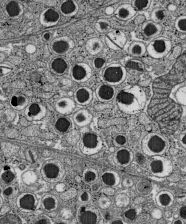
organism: C57BL Mouse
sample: Pancreatic islet